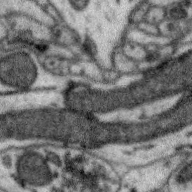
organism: Zebra finch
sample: Brain